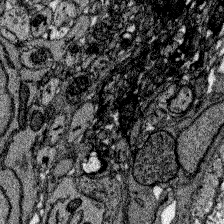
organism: Zebrafish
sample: Larval olfactory bulb